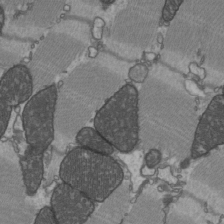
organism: C57BL Mouse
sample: Heart